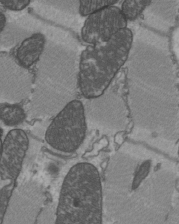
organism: C57BL Mouse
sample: Heart